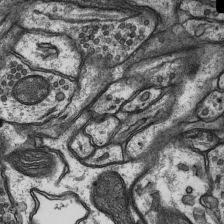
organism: Rat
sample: Hippocampus